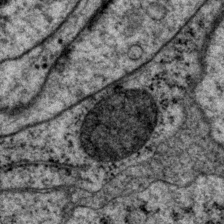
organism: P. pacificus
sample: Pharynx